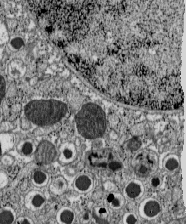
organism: C57BL Mouse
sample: Pancreatic islet